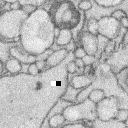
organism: Rabbit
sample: Retina